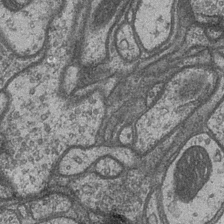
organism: Drosophila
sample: Optic medulla